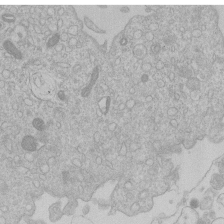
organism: Human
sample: Macrophage cells